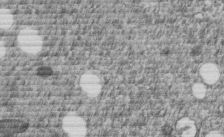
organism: C. elegans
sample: C. elegans embryo early stage